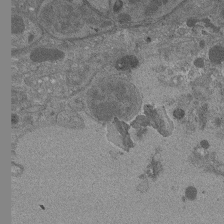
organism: Drosophila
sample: Antenna